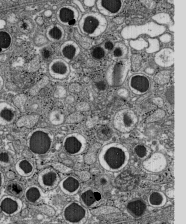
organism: C57BL Mouse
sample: Pancreatic islet